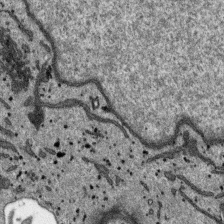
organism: Human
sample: Lung epithelial cells, uninfected (mock) control